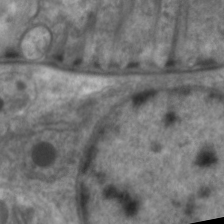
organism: C. elegans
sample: Pharynx